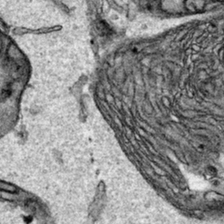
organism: Human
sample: Mitochondria in HCT116 cells